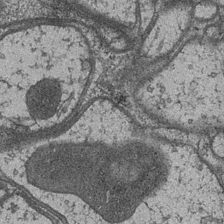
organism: Drosophila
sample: Optic medulla